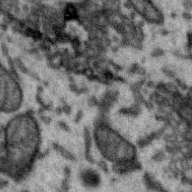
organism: Zebra finch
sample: Brain